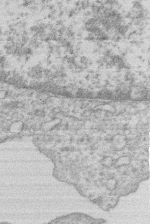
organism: Human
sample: Macrophage cells